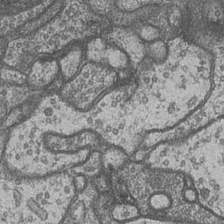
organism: Drosophila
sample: Optic medulla